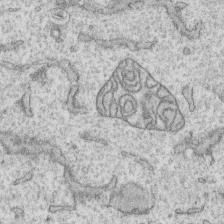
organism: Human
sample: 1205lu cells